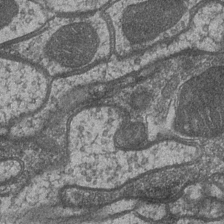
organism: Drosophila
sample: Optic medulla